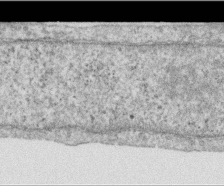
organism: Human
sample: Centriole in RPE cells